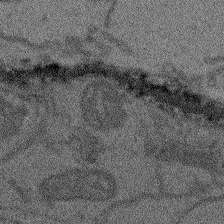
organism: Arabidopsis thaliana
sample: Root tip